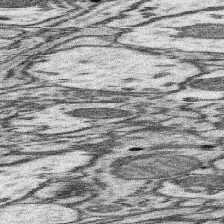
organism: Mouse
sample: Somatosensory cortex neuropil